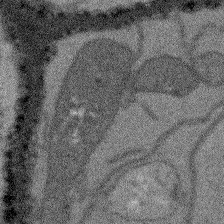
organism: Arabidopsis thaliana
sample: Root tip